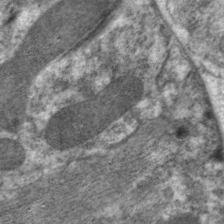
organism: C. elegans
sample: Pharynx